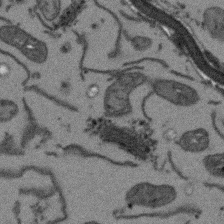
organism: Arabidopsis thaliana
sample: Root tip